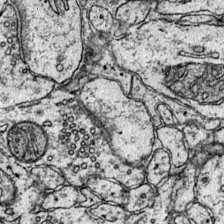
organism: Mouse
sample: Primary visual cortex